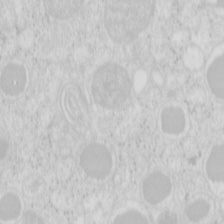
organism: Mouse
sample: Pancreas